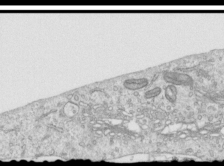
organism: Human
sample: Centriole in RPE cells